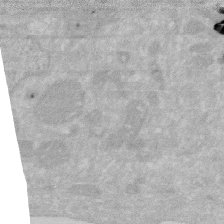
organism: Human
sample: HIV infected U937 cells